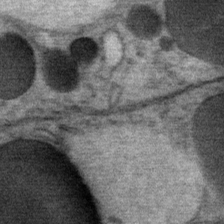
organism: Mouse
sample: Mouse Salivary gland